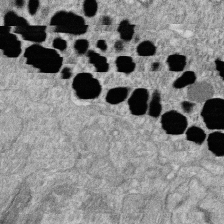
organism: Zebrafish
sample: Cilia; retinal pigment epithelium